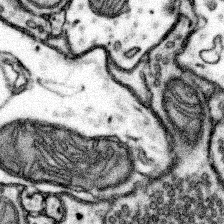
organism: Mouse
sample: Somatosensory cortex neuropil